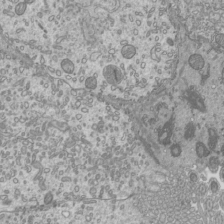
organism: Mouse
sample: Cilia; mouse epididymis